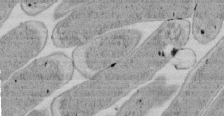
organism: E. coli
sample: Bacterial nucleoid